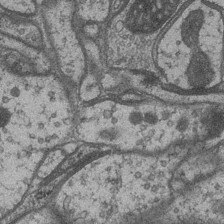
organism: Drosophila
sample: Optic medulla